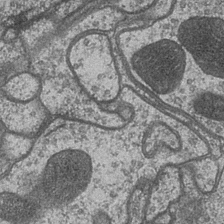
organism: Drosophila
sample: Optic medulla